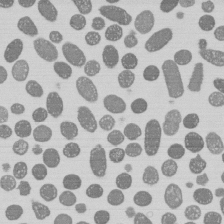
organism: E. coli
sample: Bacterial nucleoid